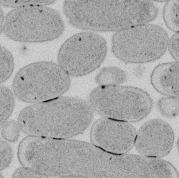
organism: E. coli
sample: Bacterial nucleoid